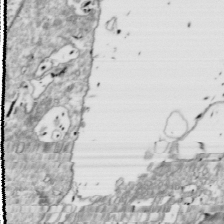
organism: Drosophila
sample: Cell division; meiosis; drosophila spermatocytes